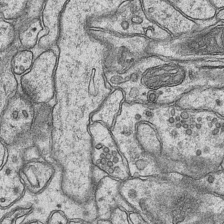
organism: Mouse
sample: CA1 Hippocampus